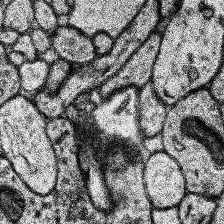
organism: Human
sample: Temporal Lobe